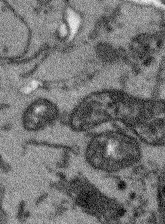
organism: Arabidopsis thaliana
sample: Root tip